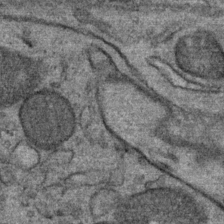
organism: Mouse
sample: Mouse Salivary gland